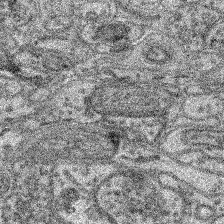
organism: Mouse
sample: Retina